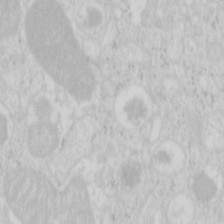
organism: Mouse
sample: Pancreas